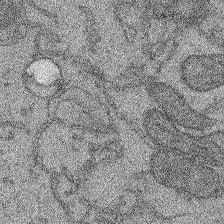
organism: Human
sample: HeLa cells